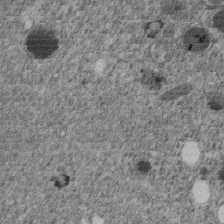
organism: C. elegans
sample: C. elegans embryo early stage